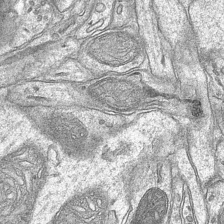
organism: Mouse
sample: CA1 Hippocampus